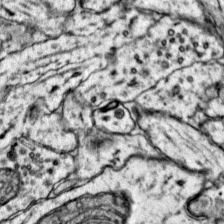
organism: Mouse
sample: Primary visual cortex